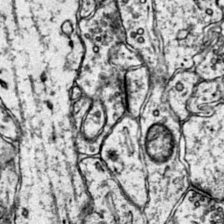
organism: Mouse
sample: Primary visual cortex